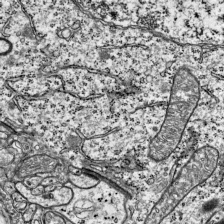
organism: Mouse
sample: Visual Cortex